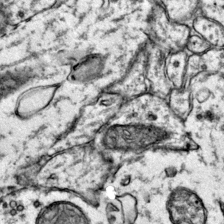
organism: Mouse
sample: Primary visual cortex